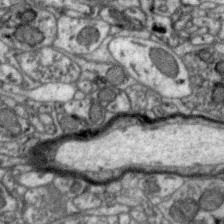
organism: Zebra finch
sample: Brain